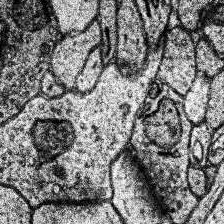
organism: Human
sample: Temporal Lobe